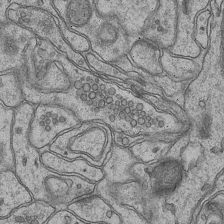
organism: Mouse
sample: CA1 Hippocampus